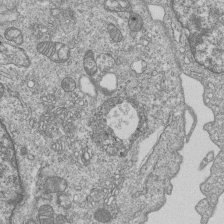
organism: Human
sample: MDA-MB-231 cells